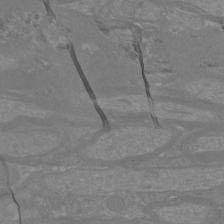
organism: Mouse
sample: Cortical neurons